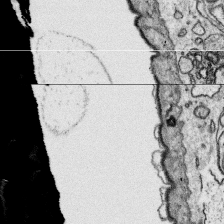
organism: Platynereis dumerilii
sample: Parapodia